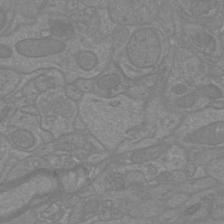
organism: Mouse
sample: Cortical neurons